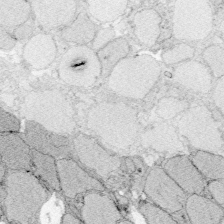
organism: Zebrafish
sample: Whole-Brain